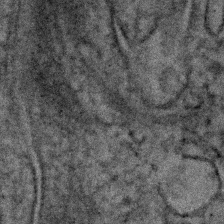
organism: Human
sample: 1205lu cells